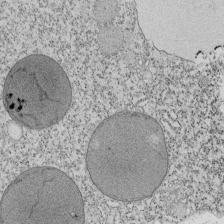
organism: Tetrahymena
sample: Cilia in tetrahymena